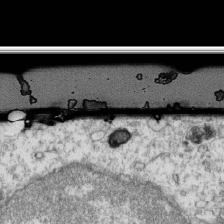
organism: Mouse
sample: Activated OT-1 CD8+ T cells